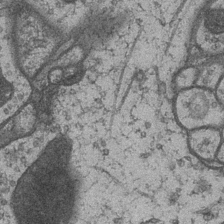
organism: Drosophila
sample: Optic medulla